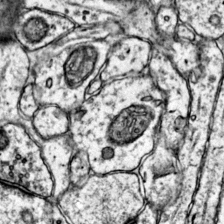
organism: Mouse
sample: Primary visual cortex